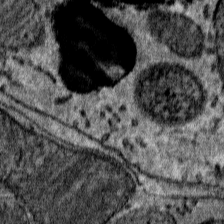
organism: Mouse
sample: Mouse Salivary gland